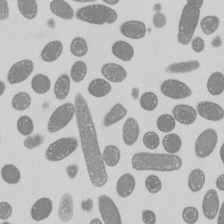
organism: E. coli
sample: Bacterial nucleoid